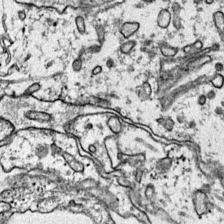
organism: Mouse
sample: Primary visual cortex